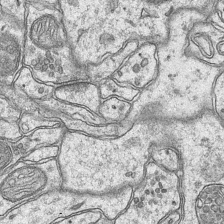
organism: Mouse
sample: CA1 Hippocampus